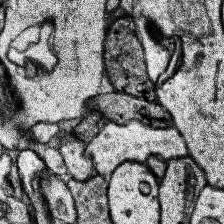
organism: Human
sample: Temporal Lobe